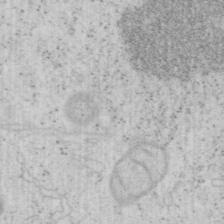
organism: Human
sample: HeLa cells